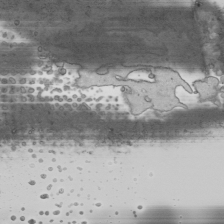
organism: Human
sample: Mitochondria in HCT116 cells